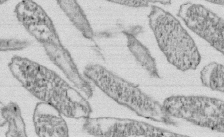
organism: E. coli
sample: Bacterial nucleoid